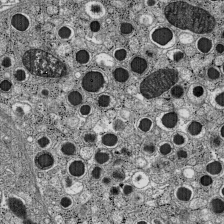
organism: C57BL Mouse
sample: Pancreatic islet